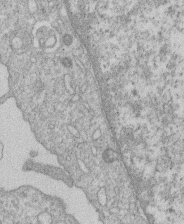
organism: Human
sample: Macrophage cells